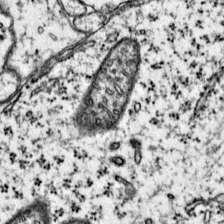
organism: Mouse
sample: Primary visual cortex